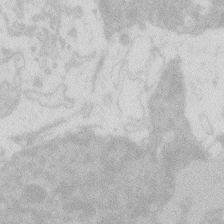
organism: Zebrafish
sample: Macrophage